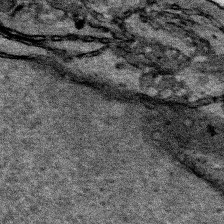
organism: Human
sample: Mitochondria in HCT116 cells